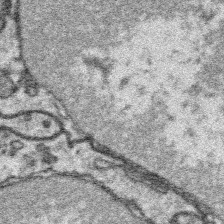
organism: Platynereis dumerilii